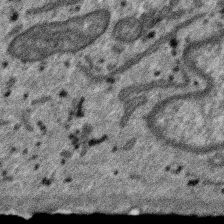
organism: Human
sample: Lung epithelial cells infected with SARS-CoV-2